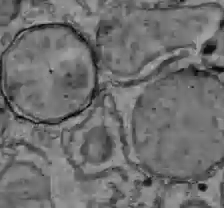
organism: C57BL Mouse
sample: Liver